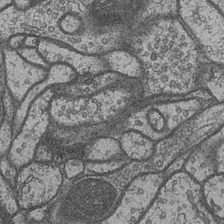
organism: Drosophila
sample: Optic medulla